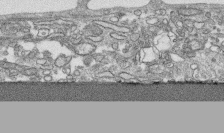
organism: Human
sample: CRL-1474